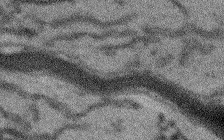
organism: Arabidopsis thaliana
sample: Root tip